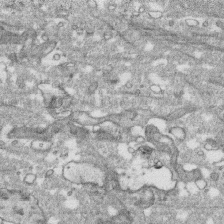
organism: Human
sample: CRL-1474